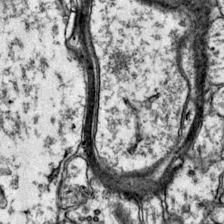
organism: Mouse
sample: Primary visual cortex